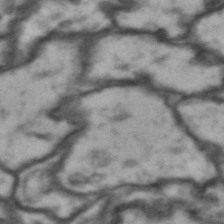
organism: Drosophila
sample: Brain